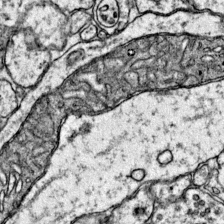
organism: Mouse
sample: Primary visual cortex